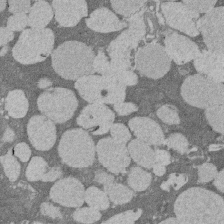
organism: Rat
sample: Salivary granule